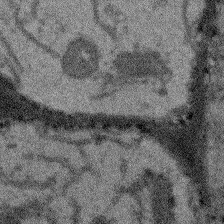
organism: Arabidopsis thaliana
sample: Root tip